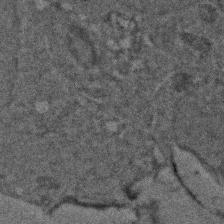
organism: Zebrafish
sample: Zebrafish embryo